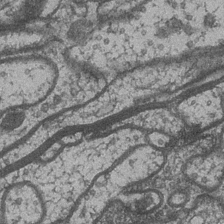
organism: Drosophila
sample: Optic medulla